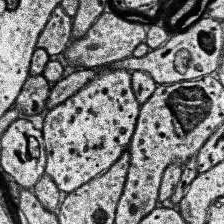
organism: Human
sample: Temporal Lobe